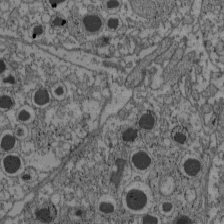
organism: C57BL Mouse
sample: Pancreatic islet